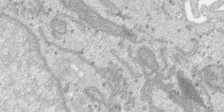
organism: Human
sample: Lung epithelial cells infected with SARS-CoV-2